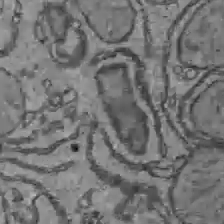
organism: C57BL Mouse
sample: Liver